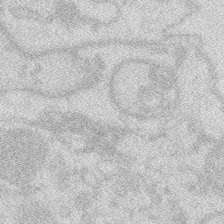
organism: Zebrafish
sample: Macrophage